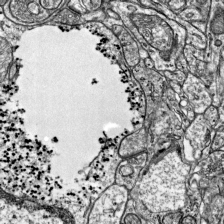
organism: Mouse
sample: Visual Cortex